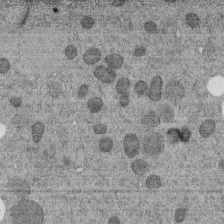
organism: C. elegans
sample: C. elegans embryo early stage